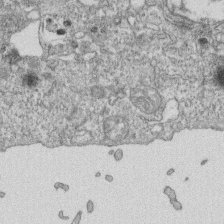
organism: Human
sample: HeLa cell HIV synapse